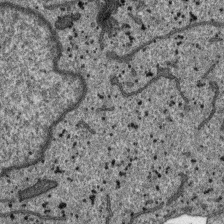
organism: Human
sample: Lung epithelial cells infected with SARS-CoV-2